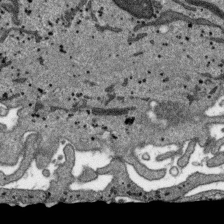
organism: Human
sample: Lung epithelial cells, uninfected (mock) control